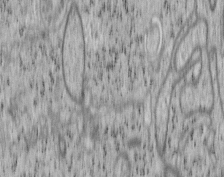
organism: Human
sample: HeLa cells